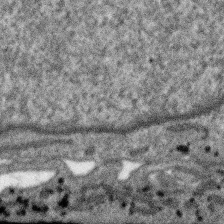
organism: Human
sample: Lung epithelial cells infected with SARS-CoV-2